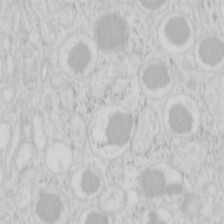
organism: Mouse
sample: Pancreas